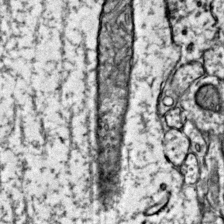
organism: Mouse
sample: Primary visual cortex